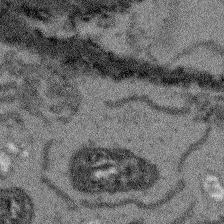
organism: Arabidopsis thaliana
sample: Root tip